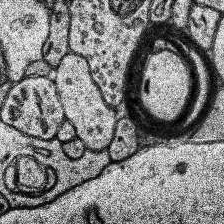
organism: Human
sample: Temporal Lobe